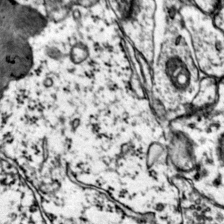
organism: Mouse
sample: Primary visual cortex